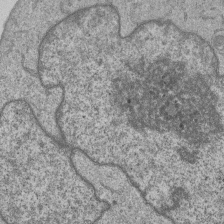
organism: Human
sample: MDA-MB-231 cells